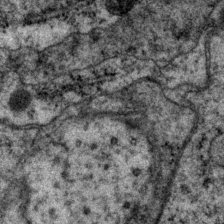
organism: P. pacificus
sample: Pharynx